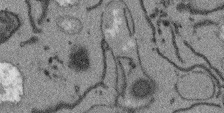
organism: Arabidopsis thaliana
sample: Root tip